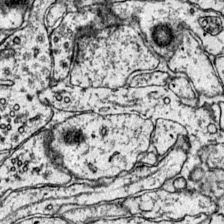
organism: Mouse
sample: Primary visual cortex